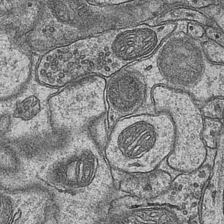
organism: Mouse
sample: CA1 Hippocampus